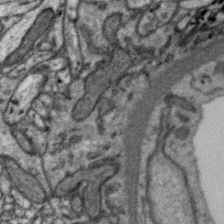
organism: Zebra finch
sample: Brain